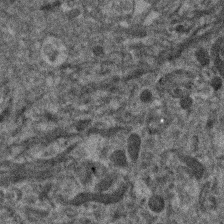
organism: Human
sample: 1205lu cells